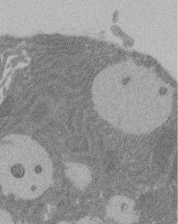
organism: Rat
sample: Salivary granule